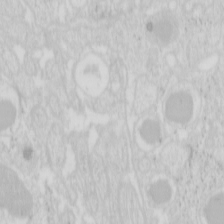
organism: Mouse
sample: Pancreas